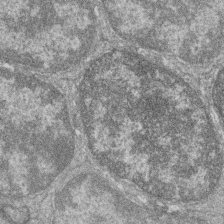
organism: Zebrafish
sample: Cilia; retinal pigment epithelium